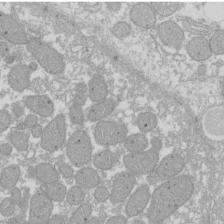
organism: Xenopus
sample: Cilia; centrioles in frog embryo cells